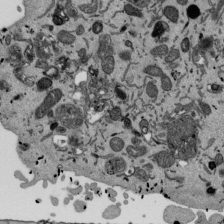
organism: Mouse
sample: ED-1 cell nuclei; centrioles